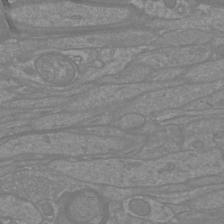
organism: Mouse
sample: Cortical neurons